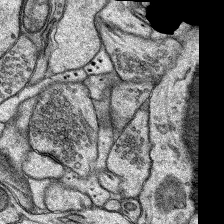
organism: Rat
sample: Hippocampus